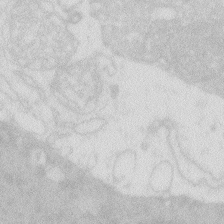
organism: Zebrafish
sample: Macrophage